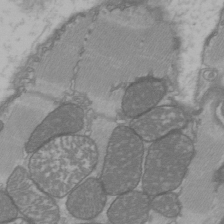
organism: C57BL Mouse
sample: Heart